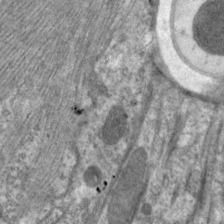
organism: C. elegans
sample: Pharynx